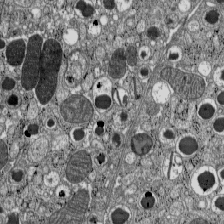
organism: C57BL Mouse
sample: Pancreatic islet